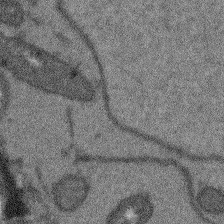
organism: Arabidopsis thaliana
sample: Root tip